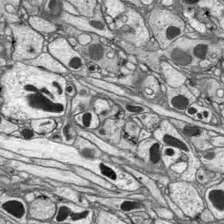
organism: Drosophila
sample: Optic lobe